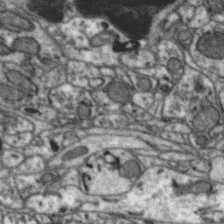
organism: Zebra finch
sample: Brain